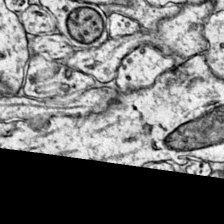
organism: Mouse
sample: Primary visual cortex